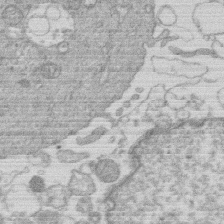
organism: Human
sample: Macrophage cells